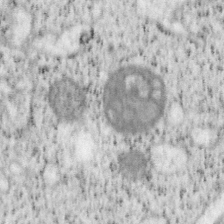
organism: Mouse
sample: OT-I killer T cells with ID8 ovarian cancer cells